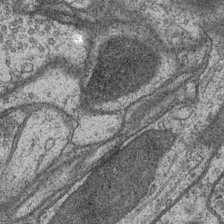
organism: Drosophila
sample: Optic medulla